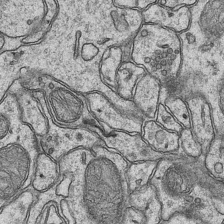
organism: Mouse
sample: CA1 Hippocampus